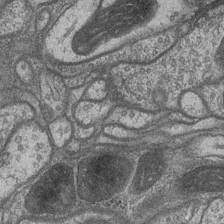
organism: Drosophila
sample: Optic medulla